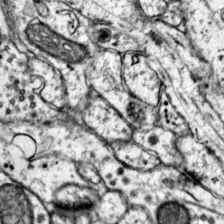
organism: Mouse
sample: Primary visual cortex